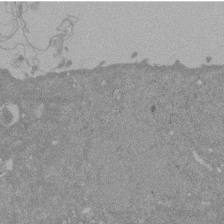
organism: Mouse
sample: ED-1 cell nuclei; centrioles